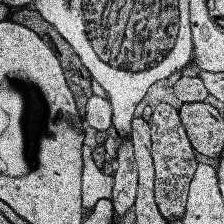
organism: Human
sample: Temporal Lobe